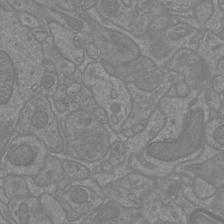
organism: Mouse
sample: Cortical neurons